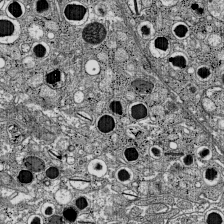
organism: C57BL Mouse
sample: Pancreatic islet